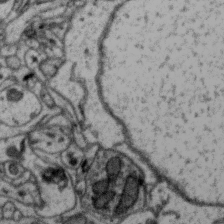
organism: Zebra finch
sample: Brain